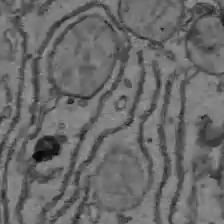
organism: C57BL Mouse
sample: Liver